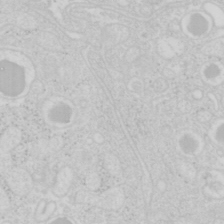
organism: Mouse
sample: Pancreas